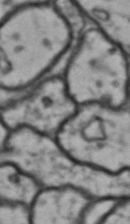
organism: Drosophila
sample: Brain